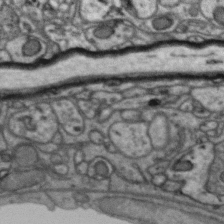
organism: Zebra finch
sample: Brain